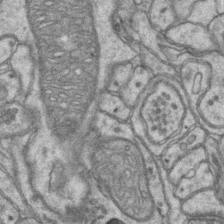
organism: Mouse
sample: CA1 Hippocampus